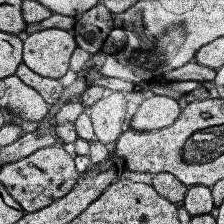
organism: Human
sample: Temporal Lobe